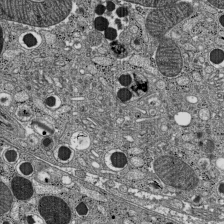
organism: C57BL Mouse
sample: Pancreatic islet